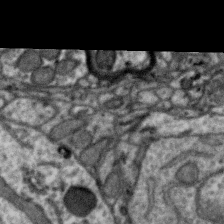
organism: Zebra finch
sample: Brain